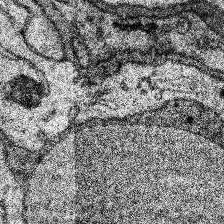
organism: Human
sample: Temporal Lobe